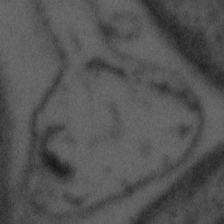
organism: Tuwongella immobilis